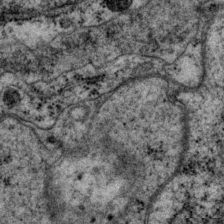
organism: P. pacificus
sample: Pharynx